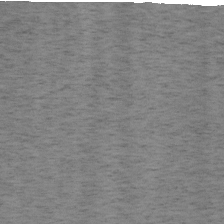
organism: Mouse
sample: OT-I killer T cells with ID8 ovarian cancer cells